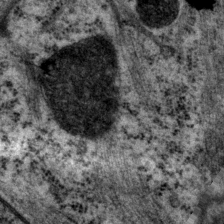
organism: P. pacificus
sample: Pharynx